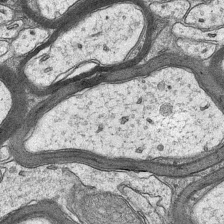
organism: Mouse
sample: CA1 Hippocampus